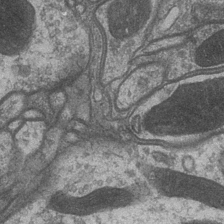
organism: Drosophila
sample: Optic medulla